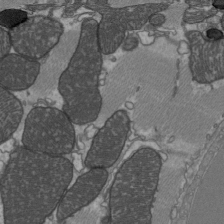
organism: C57BL Mouse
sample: Heart